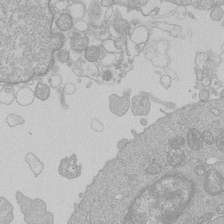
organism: Human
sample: Macrophage cells